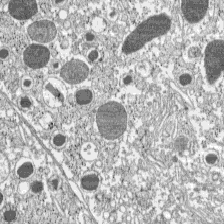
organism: C57BL Mouse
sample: Pancreatic islet